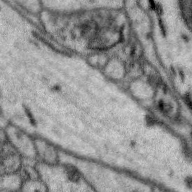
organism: Zebra finch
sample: Brain